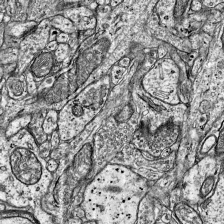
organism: Mouse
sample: Visual Cortex